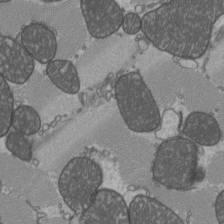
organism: C57BL Mouse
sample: Heart